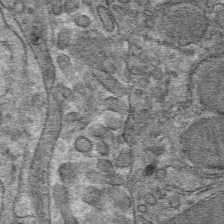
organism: Mouse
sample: Mouse hepatocytes